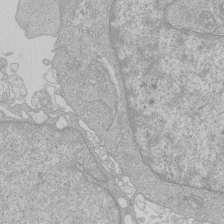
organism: Human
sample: Macrophage cells